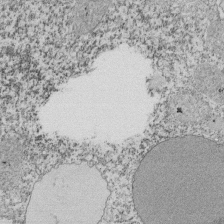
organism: Tetrahymena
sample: Cilia in tetrahymena